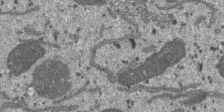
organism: Human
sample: Lung epithelial cells infected with SARS-CoV-2